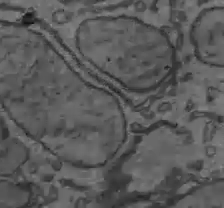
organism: C57BL Mouse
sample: Liver